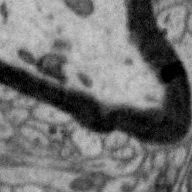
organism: Zebra finch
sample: Brain